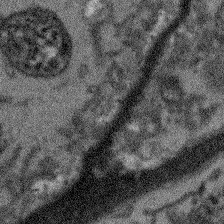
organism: Arabidopsis thaliana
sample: Root tip